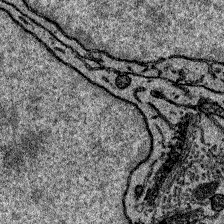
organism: Zebrafish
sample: Larval olfactory bulb